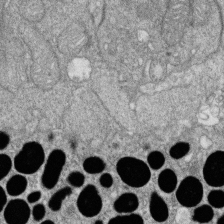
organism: Zebrafish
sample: Cilia; retinal pigment epithelium